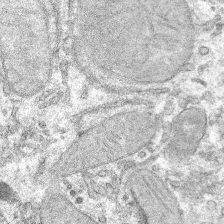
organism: Mouse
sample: Mouse hepatocytes